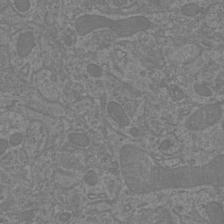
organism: Mouse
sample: Cortical neurons